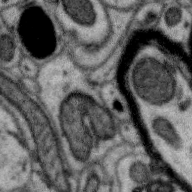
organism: Zebra finch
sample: Brain